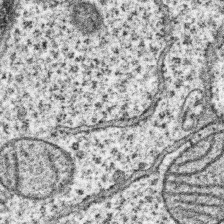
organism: Human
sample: HeLa cells